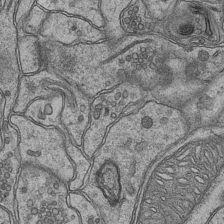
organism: Mouse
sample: CA1 Hippocampus